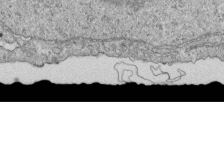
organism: Human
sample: HeLa cell HIV synapse